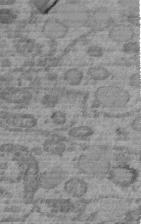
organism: C. elegans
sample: C. elegans embryo early stage